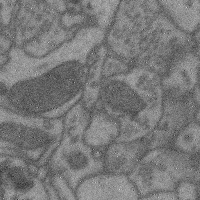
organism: Mouse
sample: Cerebral cortex